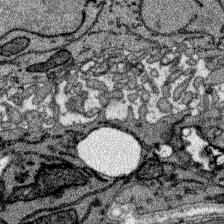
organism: Zebrafish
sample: Larval olfactory bulb